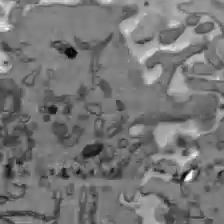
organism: C57BL Mouse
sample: Liver